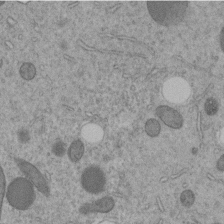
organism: C. elegans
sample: C. elegans embryo early stage